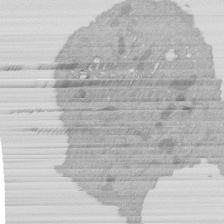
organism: Mouse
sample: Activated Pmel transgenic CD8+ T Cells